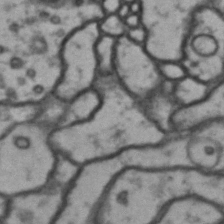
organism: Drosophila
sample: Brain